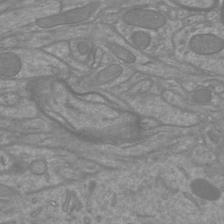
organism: Mouse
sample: Cortical neurons